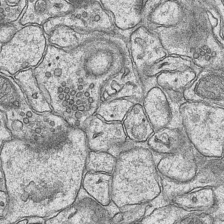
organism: Mouse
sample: CA1 Hippocampus